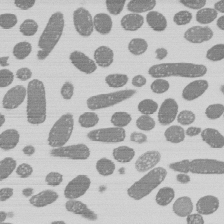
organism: E. coli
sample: Bacterial nucleoid